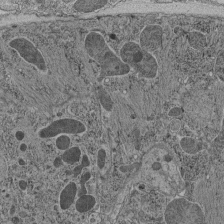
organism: C. elegans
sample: C. elegans pharynx